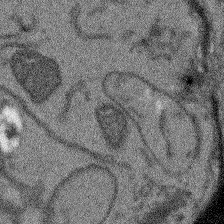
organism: Arabidopsis thaliana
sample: Root tip